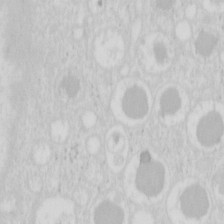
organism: Mouse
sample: Pancreas